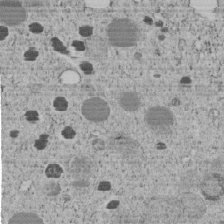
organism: C. elegans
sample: C. elegans embryo early stage